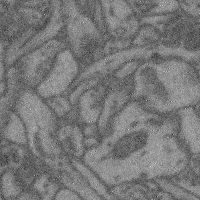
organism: Mouse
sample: Cerebral cortex